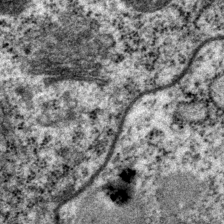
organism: P. pacificus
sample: Pharynx